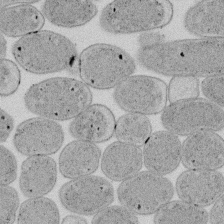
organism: E. coli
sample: Bacterial nucleoid